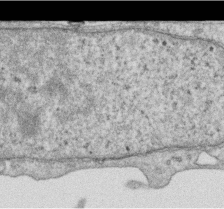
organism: Human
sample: Centriole in RPE cells